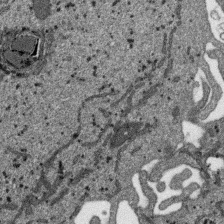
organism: Human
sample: Lung epithelial cells infected with SARS-CoV-2